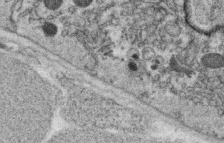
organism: C. elegans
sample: C. elegans oocyte; sperm cells